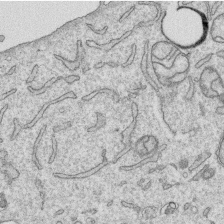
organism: Human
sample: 1205lu cells